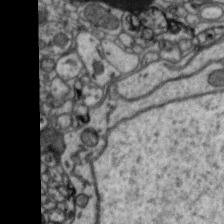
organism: Zebra finch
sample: Brain